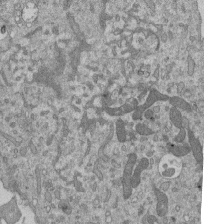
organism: Mouse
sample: ED-1 cell nuclei; centrioles